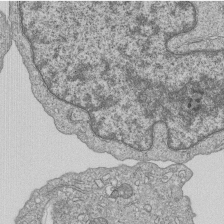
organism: Human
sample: MDA-MB-231 cells